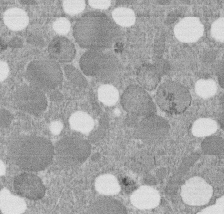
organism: C. elegans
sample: C. elegans embryo early stage